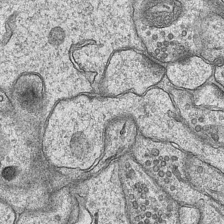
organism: Mouse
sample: CA1 Hippocampus